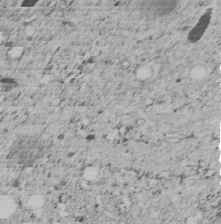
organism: C. elegans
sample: C. elegans embryo early stage